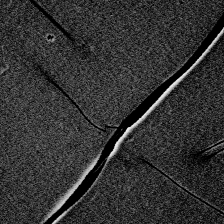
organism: Zebrafish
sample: Whole-Brain